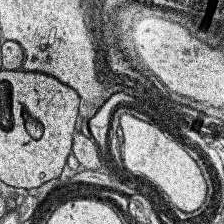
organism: Human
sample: Temporal Lobe